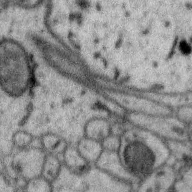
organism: Zebra finch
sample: Brain